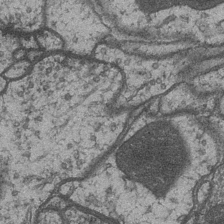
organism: Drosophila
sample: Optic medulla